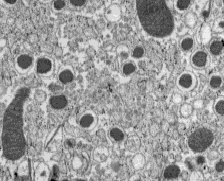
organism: C57BL Mouse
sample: Pancreatic islet